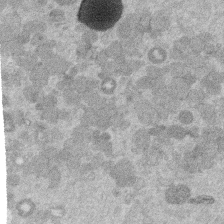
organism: Mouse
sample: Dividing mouse embryo 1 cell stage